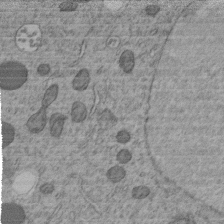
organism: C. elegans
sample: C. elegans embryo early stage